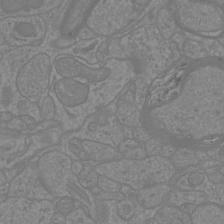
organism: Mouse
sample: Cortical neurons